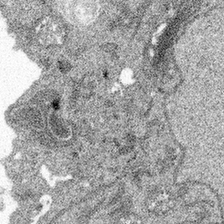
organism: Spongilla lacustris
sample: Multiple